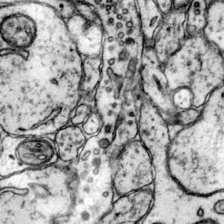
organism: Mouse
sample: Primary visual cortex